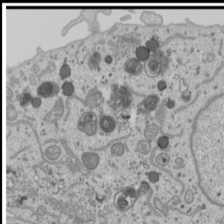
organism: Human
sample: Mitochondria in U2OS cells